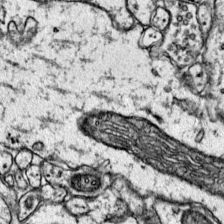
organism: Mouse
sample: Primary visual cortex